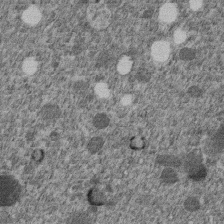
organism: C. elegans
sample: C. elegans embryo early stage